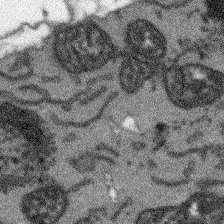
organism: Arabidopsis thaliana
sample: Root tip